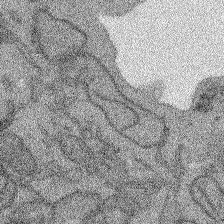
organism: Human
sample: HeLa cells